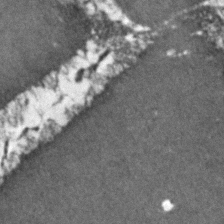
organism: Zebrafish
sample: Zebrafish embryo